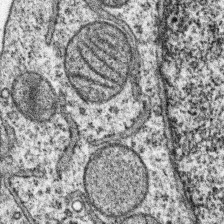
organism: Human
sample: HeLa cells